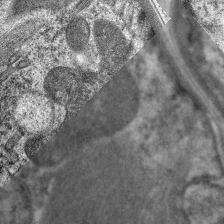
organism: C. elegans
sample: Pharynx